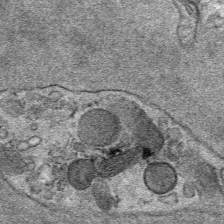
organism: Mouse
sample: Mouse Salivary gland